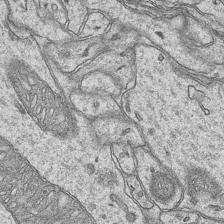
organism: Mouse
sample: CA1 Hippocampus